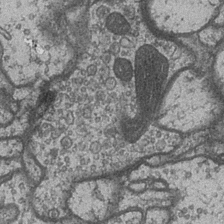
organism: Drosophila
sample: Optic medulla